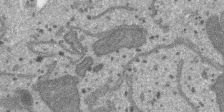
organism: Human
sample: Lung epithelial cells infected with SARS-CoV-2